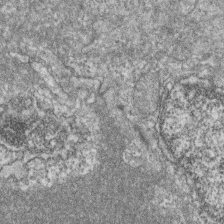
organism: Zebrafish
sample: Cilia; retinal pigment epithelium